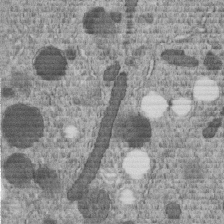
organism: C. elegans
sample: C. elegans embryo early stage